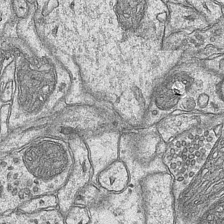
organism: Mouse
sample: CA1 Hippocampus